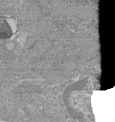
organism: Mouse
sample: Glomerulus